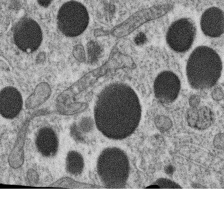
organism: C. elegans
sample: C. elegans oocyte; sperm cells